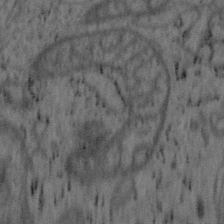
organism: Human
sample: HeLa cells